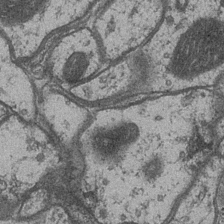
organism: Drosophila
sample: Optic medulla